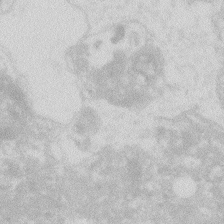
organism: Zebrafish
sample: Macrophage